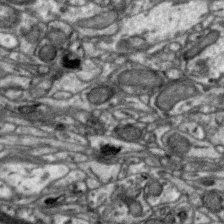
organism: Zebra finch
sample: Brain